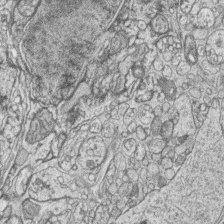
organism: Zebrafish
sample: synaptic ribbons in rod cells and cone cells